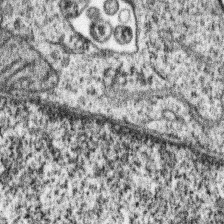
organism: Human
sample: HeLa cells